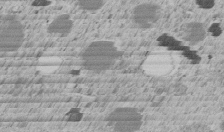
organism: C. elegans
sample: C. elegans embryo early stage